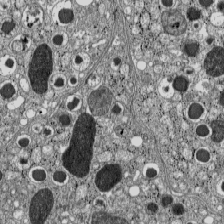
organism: C57BL Mouse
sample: Pancreatic islet